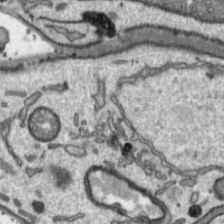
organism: Toxoplasma gondii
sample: Parasites in a vacuole inside a host cell